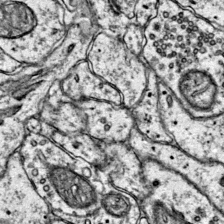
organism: Mouse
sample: Primary visual cortex